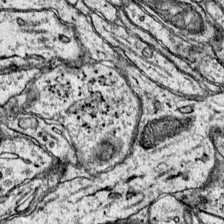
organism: Mouse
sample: Primary visual cortex